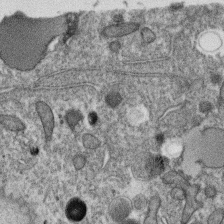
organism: C. elegans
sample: C. elegans oocyte; sperm cells